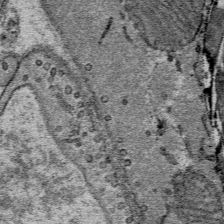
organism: Mouse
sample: Mouse Salivary gland